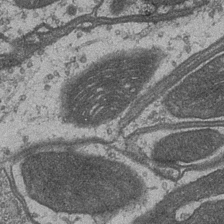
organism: Drosophila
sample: Optic medulla